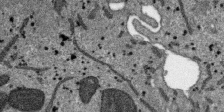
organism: Human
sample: Lung epithelial cells, uninfected (mock) control